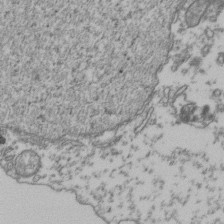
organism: Human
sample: Activated Jurkat CD4+ T cells